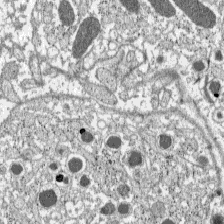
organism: C57BL Mouse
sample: Pancreatic islet